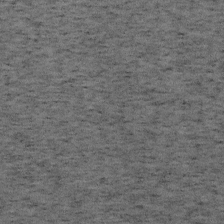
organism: Mouse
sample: OT-I killer T cells with ID8 ovarian cancer cells